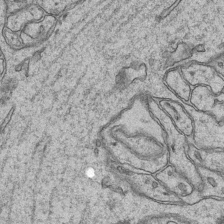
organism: Mouse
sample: CA1 Hippocampus